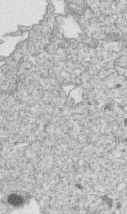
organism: Human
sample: HeLa cell HIV synapse